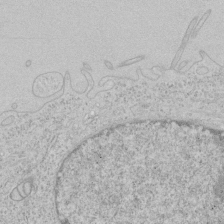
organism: Human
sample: Mitochondria in HCT116 cells